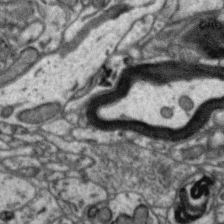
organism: Zebra finch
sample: Brain